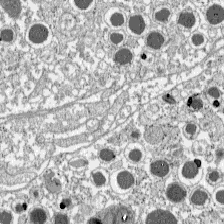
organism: C57BL Mouse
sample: Pancreatic islet